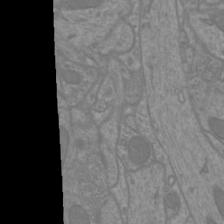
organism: Mouse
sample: Cortical neurons